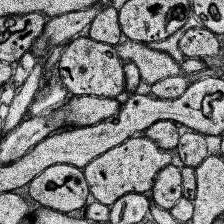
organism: Human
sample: Temporal Lobe